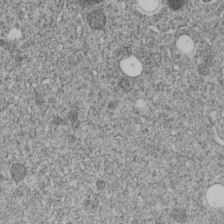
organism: C. elegans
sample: C. elegans embryo early stage